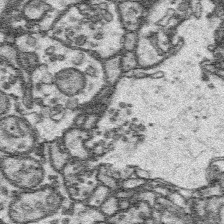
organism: Platynereis dumerilii